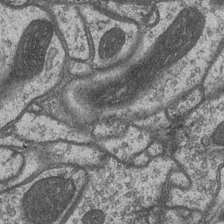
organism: Drosophila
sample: Optic medulla